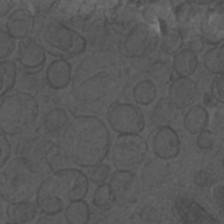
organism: C. elegans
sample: C. elegans embryo